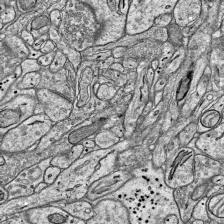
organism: Mouse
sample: Visual Cortex